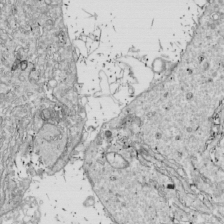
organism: Drosophila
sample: Cell division; meiosis; drosophila spermatocytes